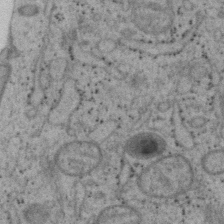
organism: Human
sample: HeLa cells